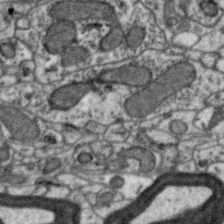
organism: Zebra finch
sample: Brain